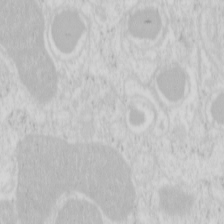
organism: Mouse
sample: Pancreas